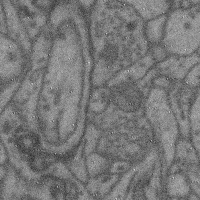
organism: Mouse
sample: Cerebral cortex